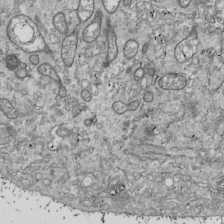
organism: Drosophila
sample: Cell division; meiosis; drosophila spermatocytes